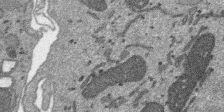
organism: Human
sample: Lung epithelial cells infected with SARS-CoV-2